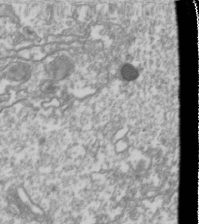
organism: Drosophila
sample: Cell division; meiosis; drosophila spermatocytes